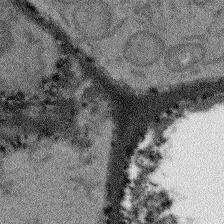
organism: Arabidopsis thaliana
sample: Root tip